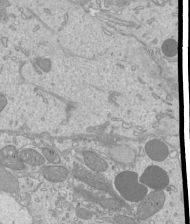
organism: Mouse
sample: Cilia; mouse epididymis